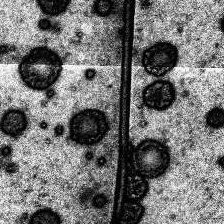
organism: Human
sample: Temporal Lobe